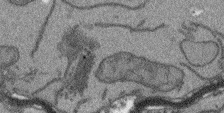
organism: Arabidopsis thaliana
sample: Root tip